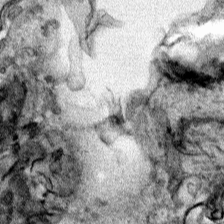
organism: Human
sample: Mitochondria in HCT116 cells